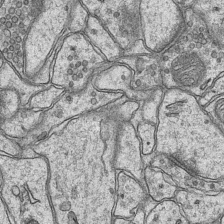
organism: Mouse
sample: CA1 Hippocampus